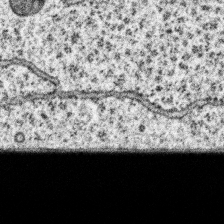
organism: Human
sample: HeLa cells